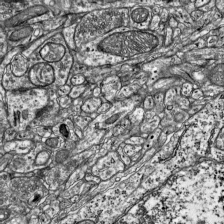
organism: Mouse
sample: Visual Cortex